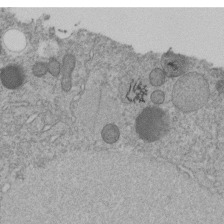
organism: C. elegans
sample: C. elegans embryo early stage